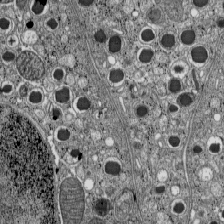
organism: C57BL Mouse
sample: Pancreatic islet